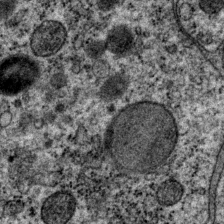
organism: P. pacificus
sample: Pharynx